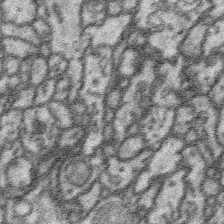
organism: Platynereis dumerilii